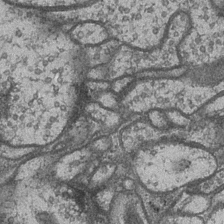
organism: Drosophila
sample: Optic medulla